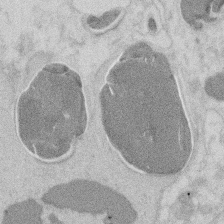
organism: Mouse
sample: T cell stromal cell synapse